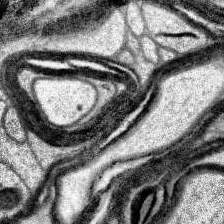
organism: Human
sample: Temporal Lobe